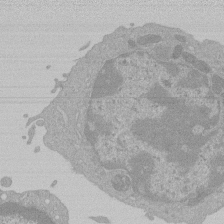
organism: Mouse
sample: Activated Pmel transgenic CD8+ T Cells